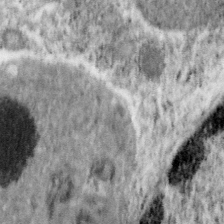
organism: Mouse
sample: OT-I killer T cells with ID8 ovarian cancer cells